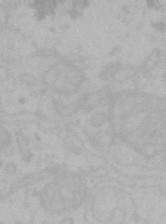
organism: Mouse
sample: Choroid plexus